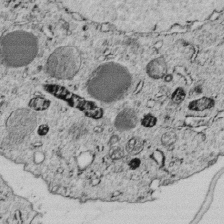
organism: C. elegans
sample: C. elegans embryo early stage